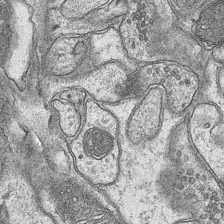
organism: Mouse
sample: CA1 Hippocampus